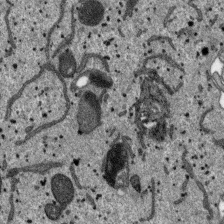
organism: Human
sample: Lung epithelial cells, uninfected (mock) control